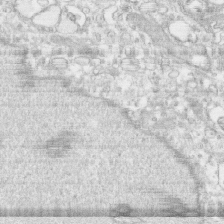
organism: Human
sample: CRL-1474